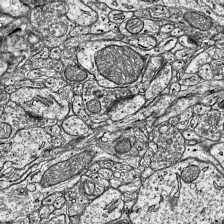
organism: Mouse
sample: Visual Cortex